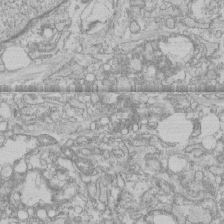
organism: Human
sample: CRL-1474